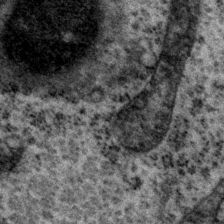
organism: P. pacificus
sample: Pharynx